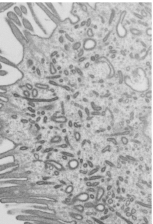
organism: Mouse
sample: Mouse epididymis efferent ductule cilia